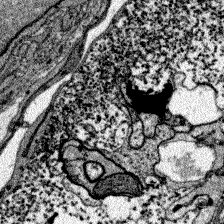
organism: Zebrafish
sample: Larval olfactory bulb